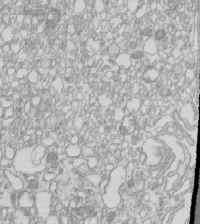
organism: Mouse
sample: Macrophages